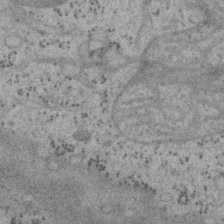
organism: Human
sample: HeLa cells